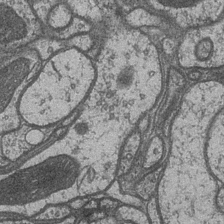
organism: Drosophila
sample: Optic medulla